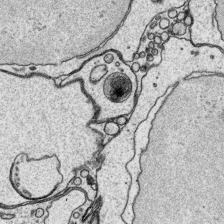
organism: Platynereis dumerilii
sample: Parapodia